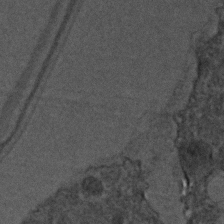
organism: C. elegans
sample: C. elegans embryo